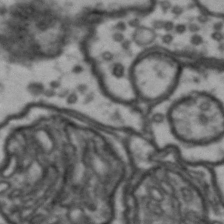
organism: Drosophila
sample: Brain